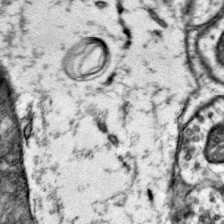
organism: Mouse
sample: Primary visual cortex